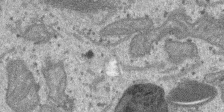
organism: Human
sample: Lung epithelial cells infected with SARS-CoV-2